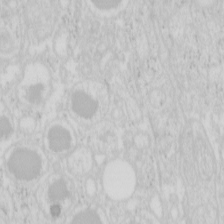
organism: Mouse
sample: Pancreas